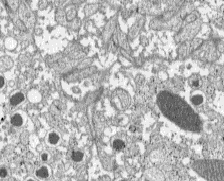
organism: C57BL Mouse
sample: Pancreatic islet